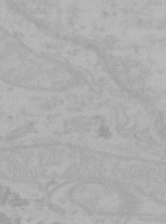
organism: Mouse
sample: Choroid plexus